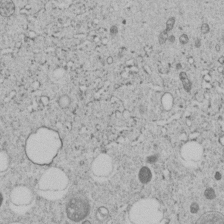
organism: C. elegans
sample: C. elegans embryo early stage